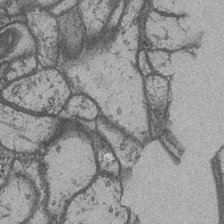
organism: Drosophila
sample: Optic medulla